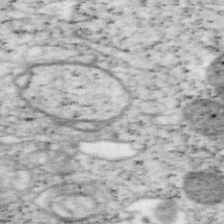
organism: Mouse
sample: OT-I killer T cells with ID8 ovarian cancer cells